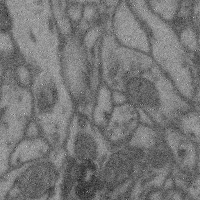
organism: Mouse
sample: Cerebral cortex